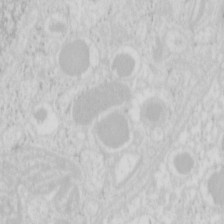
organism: Mouse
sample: Pancreas